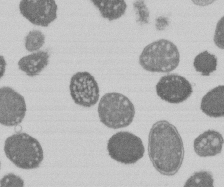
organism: E. coli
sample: Bacterial nucleoid